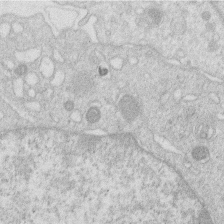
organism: Human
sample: Macrophage cells